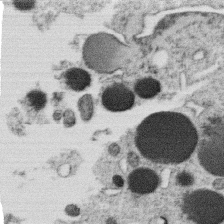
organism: C. elegans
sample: C. elegans oocyte; sperm cells